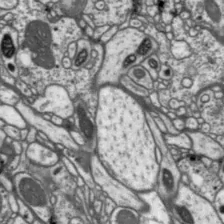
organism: Drosophila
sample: Protocerebral bridge